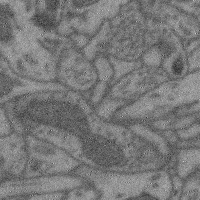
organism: Mouse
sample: Cerebral cortex